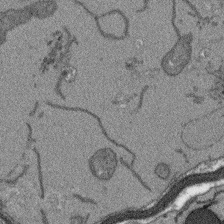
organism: Arabidopsis thaliana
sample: Root tip